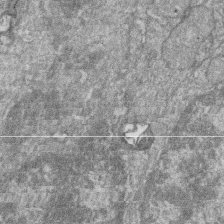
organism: Zebrafish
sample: Cilia; retinal pigment epithelium